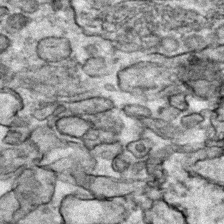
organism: Zebrafish